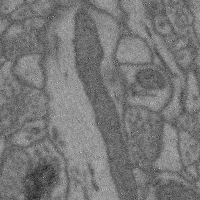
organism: Mouse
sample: Cerebral cortex